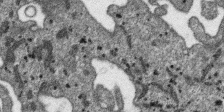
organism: Human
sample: Lung epithelial cells infected with SARS-CoV-2